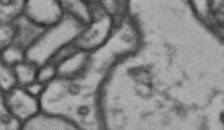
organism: Drosophila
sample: Brain